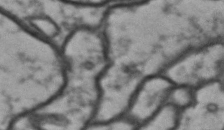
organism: Drosophila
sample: Brain